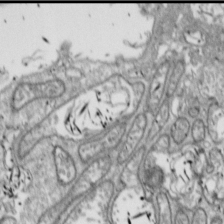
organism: Drosophila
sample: Cell division; meiosis; drosophila spermatocytes